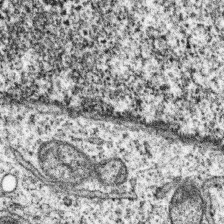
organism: Human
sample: HeLa cells